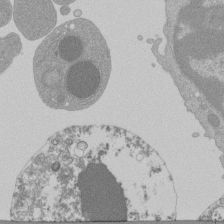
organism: Mouse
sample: Activated Pmel transgenic CD8+ T Cells